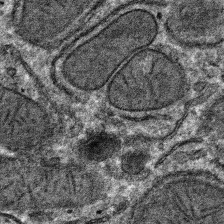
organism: Mouse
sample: Mouse hepatocytes